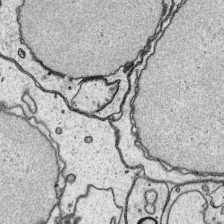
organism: Platynereis dumerilii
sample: Parapodia